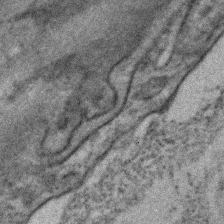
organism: C. elegans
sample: C. elegans embryo